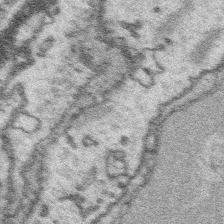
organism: Platynereis dumerilii